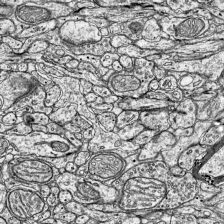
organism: Mouse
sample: Visual Cortex